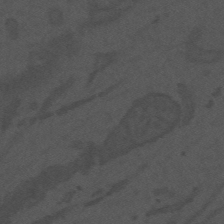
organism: Mouse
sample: Suprachiasmatic nucleus